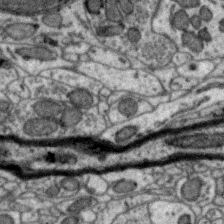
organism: Zebra finch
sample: Brain